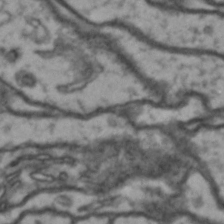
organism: Drosophila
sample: Brain